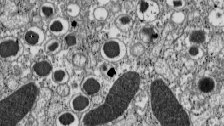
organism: C57BL Mouse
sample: Pancreatic islet